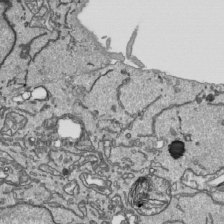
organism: Human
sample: Mitochondria in HCT116 cells